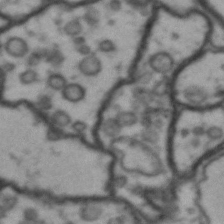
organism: Drosophila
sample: Brain